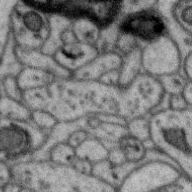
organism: Zebra finch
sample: Brain